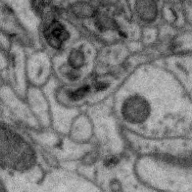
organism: Zebra finch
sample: Brain